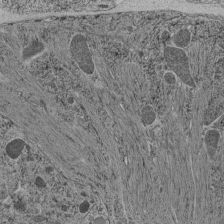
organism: C. elegans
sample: C. elegans pharynx